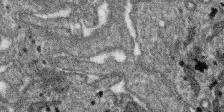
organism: Human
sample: Lung epithelial cells infected with SARS-CoV-2